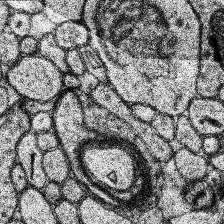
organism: Human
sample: Temporal Lobe